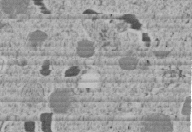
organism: C. elegans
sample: C. elegans embryo early stage